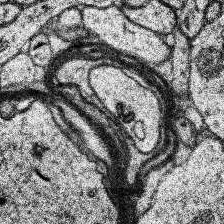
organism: Human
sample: Temporal Lobe